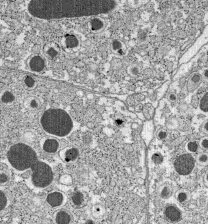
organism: C57BL Mouse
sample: Pancreatic islet